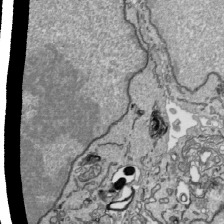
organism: Human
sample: Mitochondria in HCT116 cells